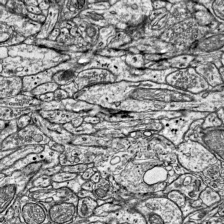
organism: Mouse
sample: Visual Cortex